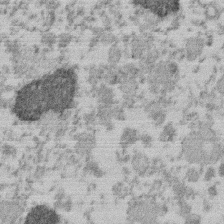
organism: Mouse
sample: Dividing mouse embryo 1 cell stage